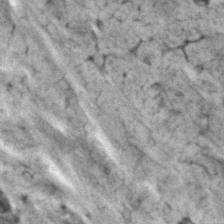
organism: Human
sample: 1205lu cells